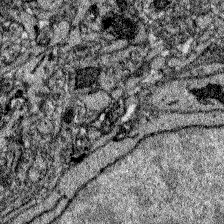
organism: Zebrafish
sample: Larval olfactory bulb